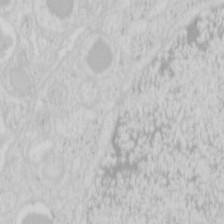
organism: Mouse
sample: Pancreas